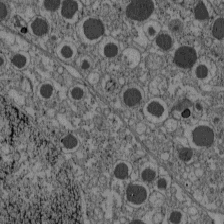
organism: C57BL Mouse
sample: Pancreatic islet